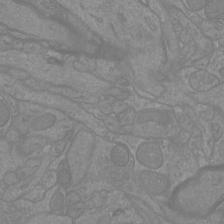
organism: Mouse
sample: Cortical neurons